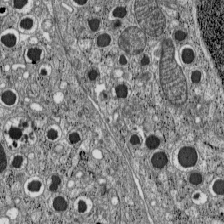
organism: C57BL Mouse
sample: Pancreatic islet